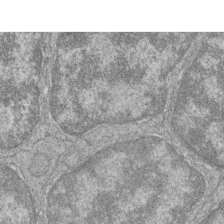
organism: Zebrafish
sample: Cilia; retinal pigment epithelium